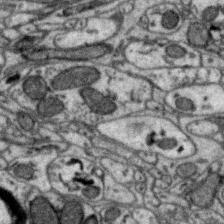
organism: Zebra finch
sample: Brain